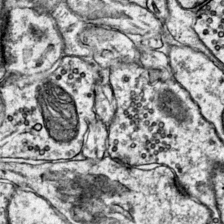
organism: Mouse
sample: Primary visual cortex